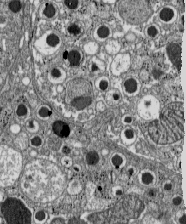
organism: C57BL Mouse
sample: Pancreatic islet